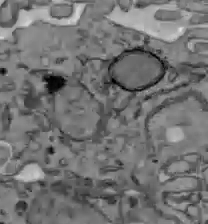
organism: C57BL Mouse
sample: Liver